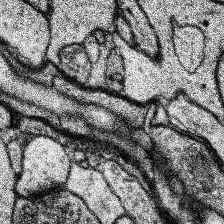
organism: Human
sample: Temporal Lobe